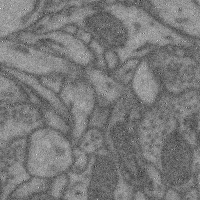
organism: Mouse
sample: Cerebral cortex